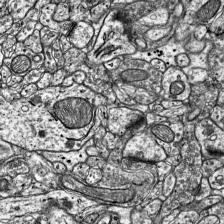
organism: Mouse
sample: Visual Cortex